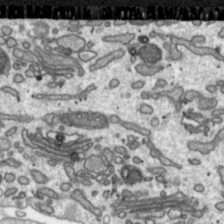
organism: Toxoplasma gondii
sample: Parasites in a vacuole inside a host cell